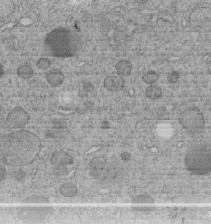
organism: C. elegans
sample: C. elegans embryo early stage